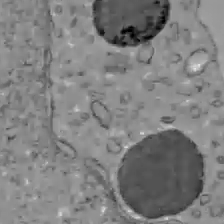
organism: C57BL Mouse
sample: Liver